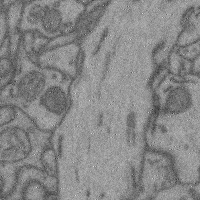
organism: Mouse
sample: Cerebral cortex